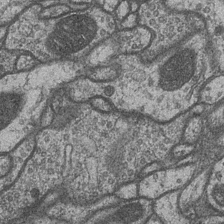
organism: Drosophila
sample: Optic medulla